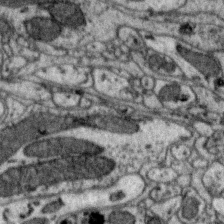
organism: Zebra finch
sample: Brain